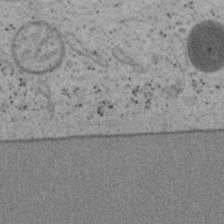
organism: Human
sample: HeLa cells